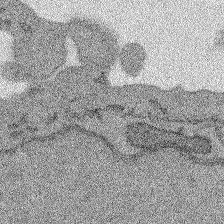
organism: Human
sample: HeLa cells